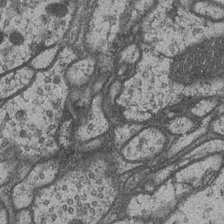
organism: Drosophila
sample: Optic medulla